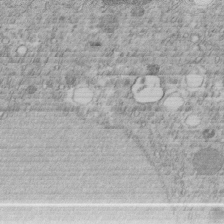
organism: C. elegans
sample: C. elegans embryo early stage